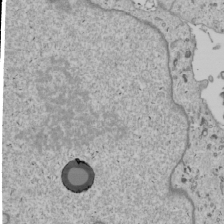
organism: Human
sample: Mitochondria in U2OS cells